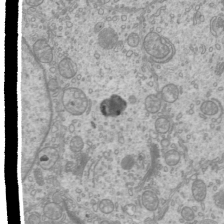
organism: Mouse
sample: Cilia; mouse epididymis